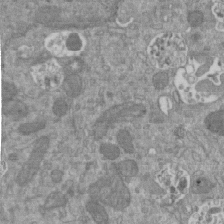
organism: Mouse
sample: ED-1 cell nuclei; centrioles